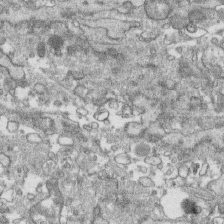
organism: Human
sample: CRL-1474